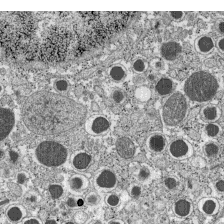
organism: C57BL Mouse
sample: Pancreatic islet